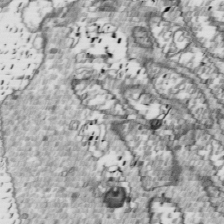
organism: Drosophila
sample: Cell division; meiosis; drosophila spermatocytes